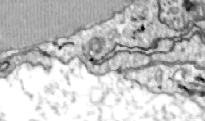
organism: Zebrafish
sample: Actinotrichia fibers